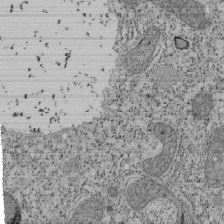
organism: Tetrahymena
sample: Cilia in tetrahymena